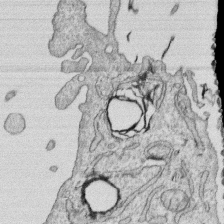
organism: Human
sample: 1205lu cells